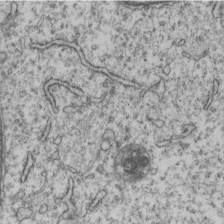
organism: Human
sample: MDA-MB-231 cells